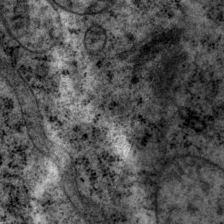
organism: P. pacificus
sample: Pharynx